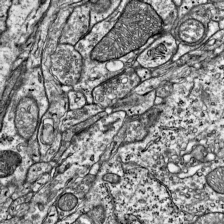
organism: Mouse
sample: Visual Cortex